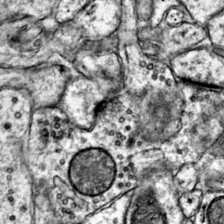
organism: Mouse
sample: Primary visual cortex